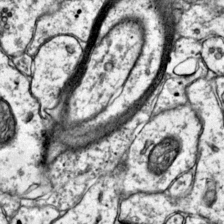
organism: Mouse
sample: Primary visual cortex